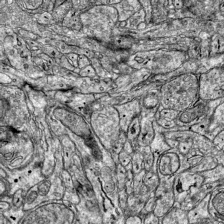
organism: Mouse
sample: Visual Cortex